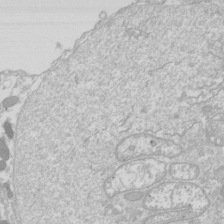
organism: Drosophila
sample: Cell division; meiosis; drosophila spermatocytes